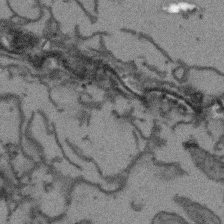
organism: Arabidopsis thaliana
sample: Root tip